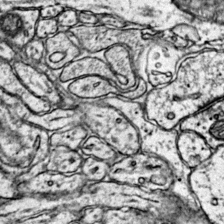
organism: Mouse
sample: Primary visual cortex